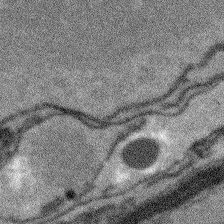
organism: Arabidopsis thaliana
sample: Root tip